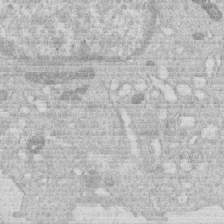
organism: Human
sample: Macrophage cells